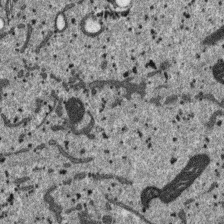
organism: Human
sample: Lung epithelial cells infected with SARS-CoV-2